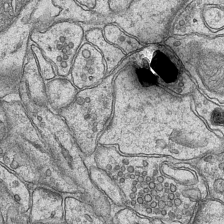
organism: Mouse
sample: CA1 Hippocampus